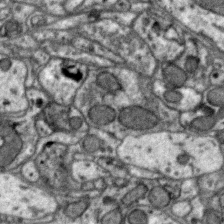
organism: Zebra finch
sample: Brain